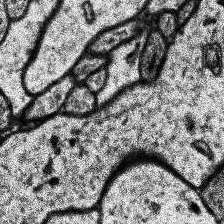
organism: Human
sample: Temporal Lobe